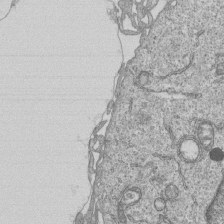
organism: Human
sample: MDA-MB-231 cells